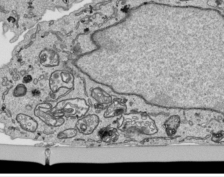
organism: Human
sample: Mitochondria in HCT116 cells